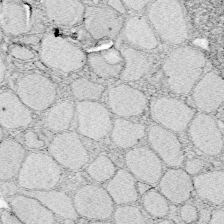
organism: Zebrafish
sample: Whole-Brain